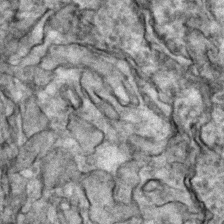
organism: Zebrafish